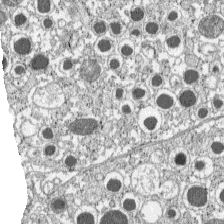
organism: C57BL Mouse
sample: Pancreatic islet